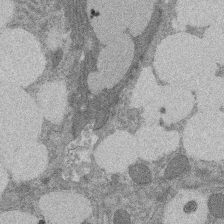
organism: Rat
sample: Salivary granule